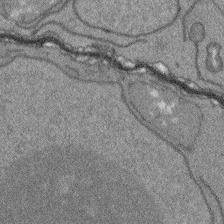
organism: Arabidopsis thaliana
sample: Root tip